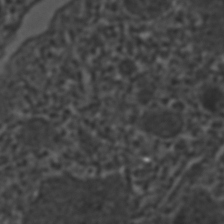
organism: C. elegans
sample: C. elegans embryo